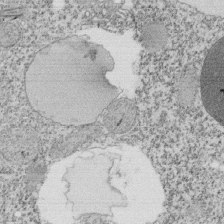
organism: Tetrahymena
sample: Cilia in tetrahymena